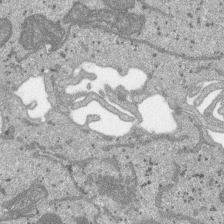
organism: Human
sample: Lung epithelial cells infected with SARS-CoV-2